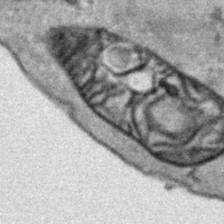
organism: Human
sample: Mitochondria in HCT116 cells